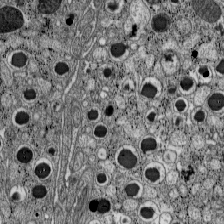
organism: C57BL Mouse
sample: Pancreatic islet